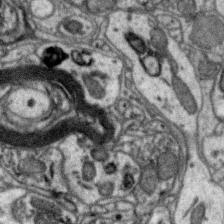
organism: Zebra finch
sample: Brain